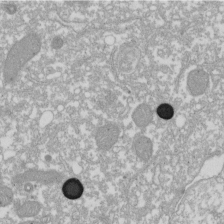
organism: Xenopus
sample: Cilia; centrioles in frog embryo cells